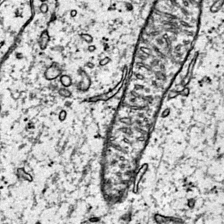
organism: Mouse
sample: Primary visual cortex